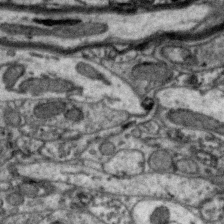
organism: Zebra finch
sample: Brain